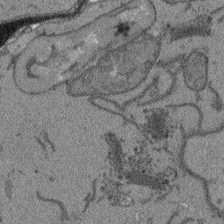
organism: Arabidopsis thaliana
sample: Root tip